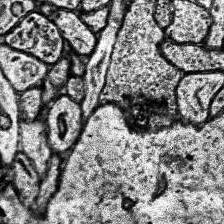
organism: Human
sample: Temporal Lobe